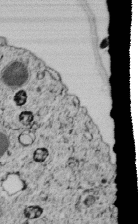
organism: C. elegans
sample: C. elegans embryo early stage